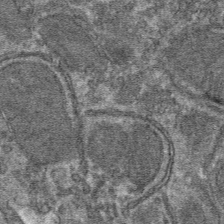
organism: Mouse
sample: Mouse hepatocytes